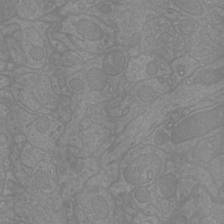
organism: Mouse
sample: Cortical neurons